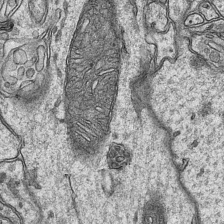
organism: Mouse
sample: CA1 Hippocampus